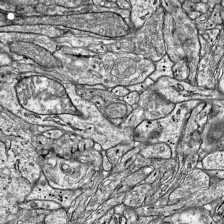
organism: Mouse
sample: Visual Cortex